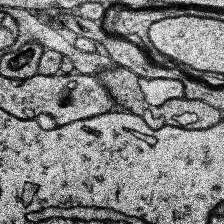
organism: Human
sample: Temporal Lobe